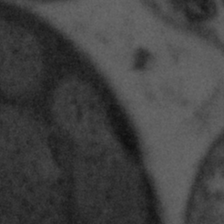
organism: Tuwongella immobilis